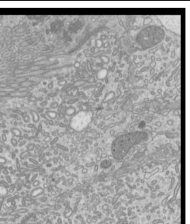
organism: Mouse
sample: Cilia; mouse epididymis